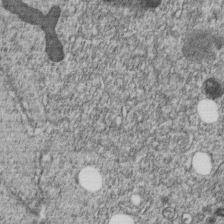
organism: C. elegans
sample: C. elegans embryo early stage